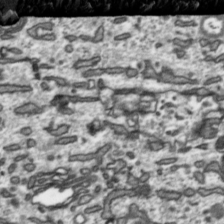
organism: Toxoplasma gondii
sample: Parasites in a vacuole inside a host cell